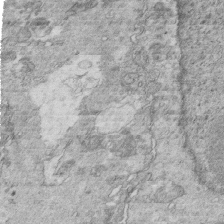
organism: Mouse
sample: Multiciliated cells